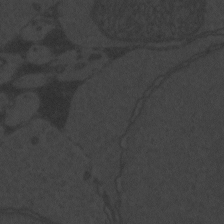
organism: Zebrafish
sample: Macrophage infected with Toxoplasma gondii